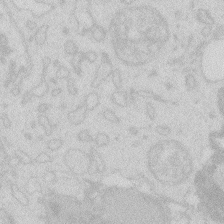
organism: Zebrafish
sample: Macrophage